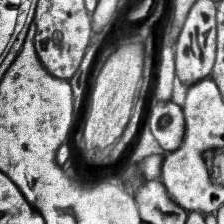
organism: Human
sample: Temporal Lobe